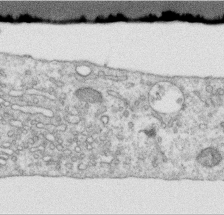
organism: Human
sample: Centriole in RPE cells